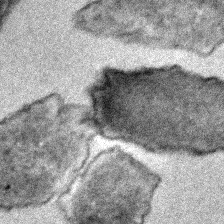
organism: E. coli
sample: E. Coli Bacteria